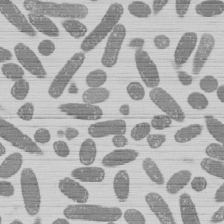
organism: E. coli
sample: Bacterial nucleoid